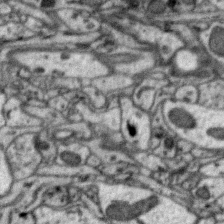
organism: Zebra finch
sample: Brain